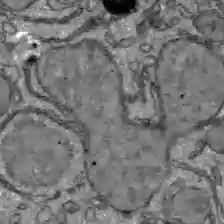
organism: C57BL Mouse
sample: Liver